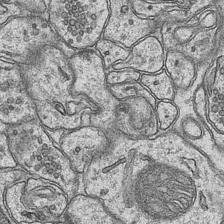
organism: Mouse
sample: CA1 Hippocampus